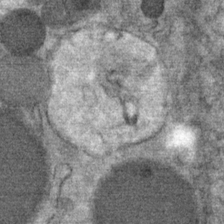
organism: Mouse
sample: Mouse Salivary gland